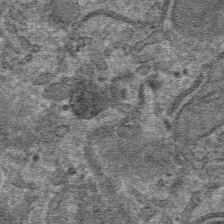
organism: Mouse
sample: Mouse hepatocytes